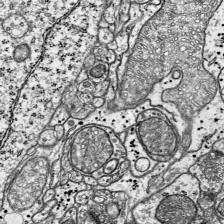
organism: Mouse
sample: Visual Cortex